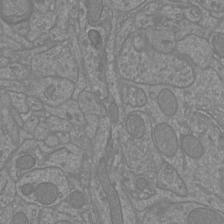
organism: Mouse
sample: Cortical neurons